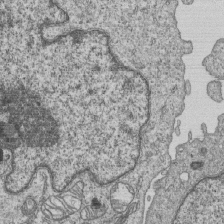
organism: Human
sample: MDA-MB-231 cells